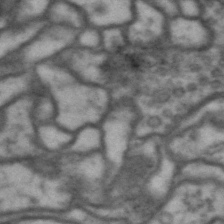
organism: Drosophila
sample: Brain